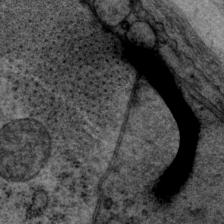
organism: P. pacificus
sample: Pharynx